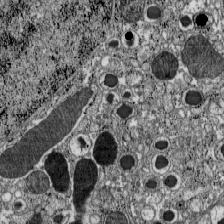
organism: C57BL Mouse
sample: Pancreatic islet